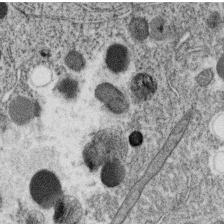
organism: C. elegans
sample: C. elegans oocyte; sperm cells